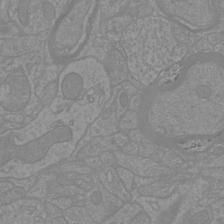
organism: Mouse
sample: Cortical neurons